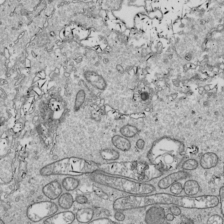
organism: Drosophila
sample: Cell division; meiosis; drosophila spermatocytes